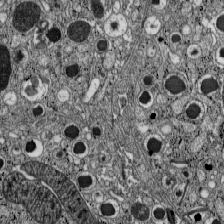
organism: C57BL Mouse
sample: Pancreatic islet